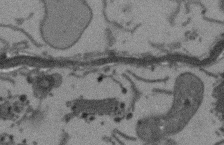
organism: Arabidopsis thaliana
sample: Root tip